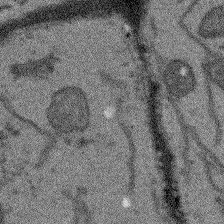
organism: Arabidopsis thaliana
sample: Root tip